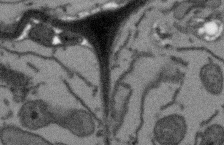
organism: Arabidopsis thaliana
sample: Root tip